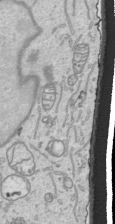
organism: Human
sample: Mitochondria in HCT116 cells